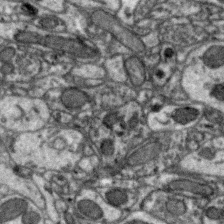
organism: Zebra finch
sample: Brain